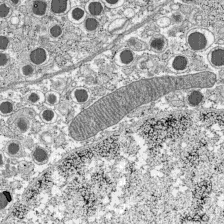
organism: C57BL Mouse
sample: Pancreatic islet